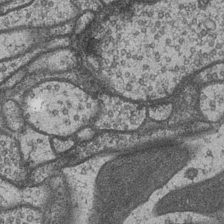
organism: Drosophila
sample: Optic medulla